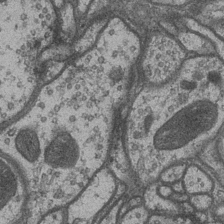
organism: Drosophila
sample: Optic medulla